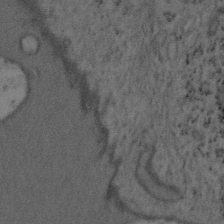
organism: Human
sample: HeLa cells